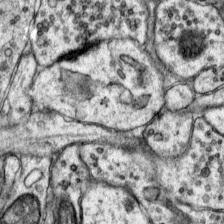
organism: Mouse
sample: Primary visual cortex